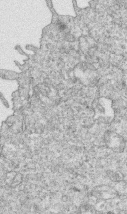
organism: Human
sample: HeLa cell HIV synapse